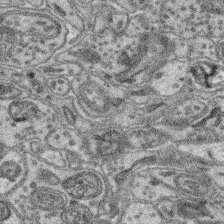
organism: Mouse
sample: Retina